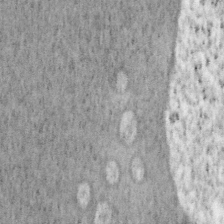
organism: Mouse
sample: OT-I killer T cells with ID8 ovarian cancer cells